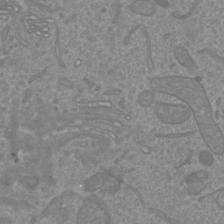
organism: Mouse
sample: Cortical neurons